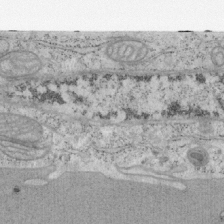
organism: Human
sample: HeLa cells